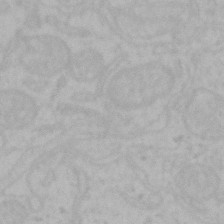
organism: Mouse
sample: Choroid plexus